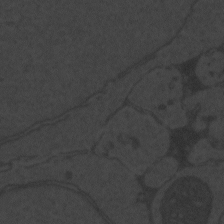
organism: Zebrafish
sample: Macrophage infected with Toxoplasma gondii